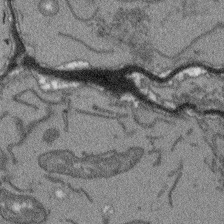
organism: Arabidopsis thaliana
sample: Root tip